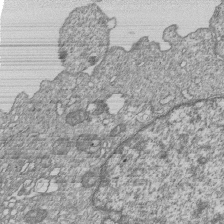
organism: Human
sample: MDA-MB-231 cells